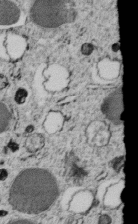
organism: C. elegans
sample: C. elegans embryo early stage